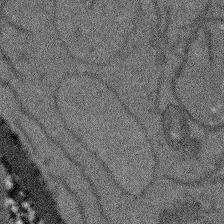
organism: Arabidopsis thaliana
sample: Root tip